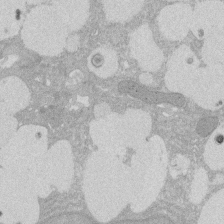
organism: Rat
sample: Salivary granule